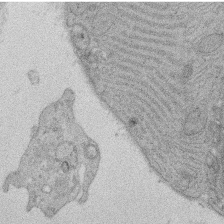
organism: Rat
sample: Salivary granule